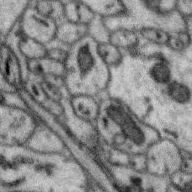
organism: Zebra finch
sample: Brain